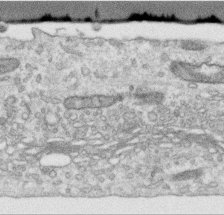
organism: Human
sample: Centriole in RPE cells